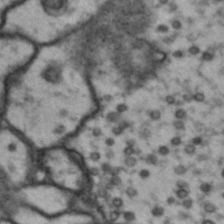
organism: Drosophila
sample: Brain